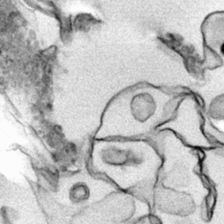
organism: Human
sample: Mitochondria in HCT116 cells